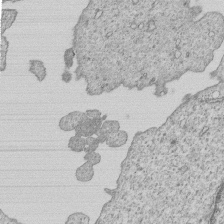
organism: Human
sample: MDA-MB-231 cells